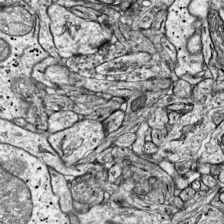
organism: Mouse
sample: Visual Cortex